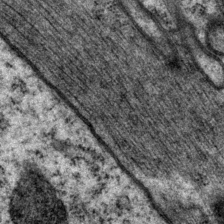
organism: P. pacificus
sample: Pharynx